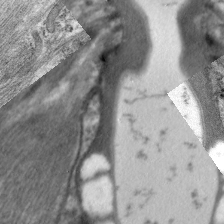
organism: C. elegans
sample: Pharynx